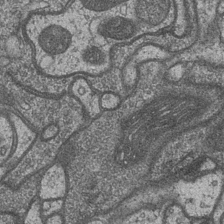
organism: Drosophila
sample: Optic medulla